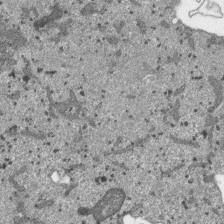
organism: Human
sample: Lung epithelial cells infected with SARS-CoV-2